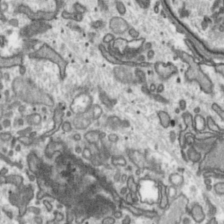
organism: Toxoplasma gondii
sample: Parasites in a vacuole inside a host cell